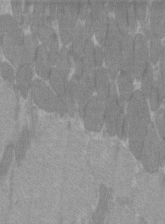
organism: C57BL Mouse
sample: Tibialis anterior muscle cell